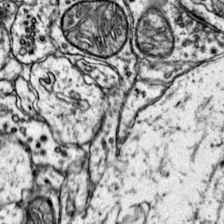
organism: Mouse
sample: Primary visual cortex